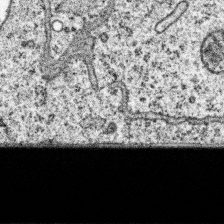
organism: Human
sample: HeLa cells